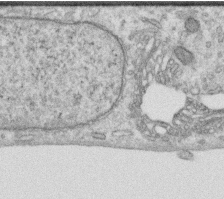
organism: Human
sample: Centriole in RPE cells